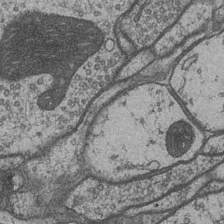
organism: Drosophila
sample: Optic medulla